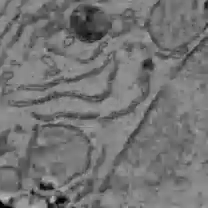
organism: C57BL Mouse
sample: Liver